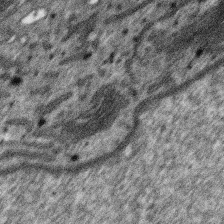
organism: Human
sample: Lung epithelial cells infected with SARS-CoV-2